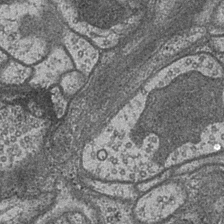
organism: Drosophila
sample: Optic medulla